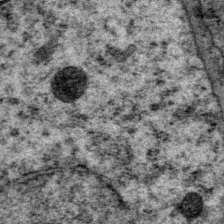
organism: P. pacificus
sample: Pharynx